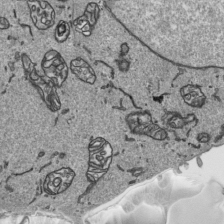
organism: Human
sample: Mitochondria in HCT116 cells